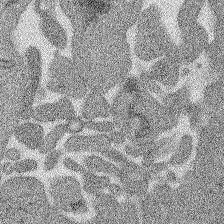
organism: Human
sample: HeLa cells